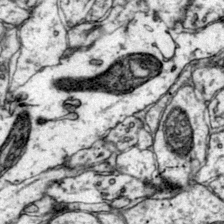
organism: Mouse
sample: Primary visual cortex